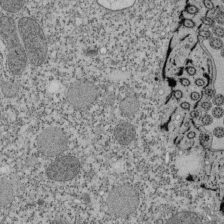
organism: Tetrahymena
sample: Cilia in tetrahymena